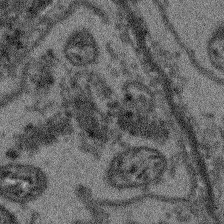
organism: Arabidopsis thaliana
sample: Root tip